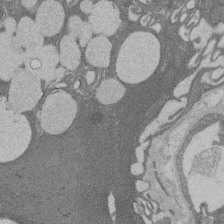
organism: Rat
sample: Salivary granule